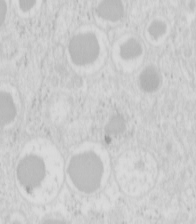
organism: Mouse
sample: Pancreas